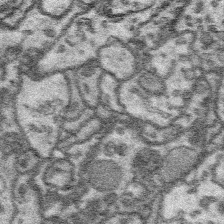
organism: Platynereis dumerilii